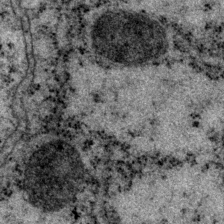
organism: P. pacificus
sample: Pharynx